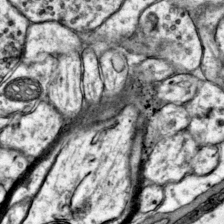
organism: Mouse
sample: Primary visual cortex